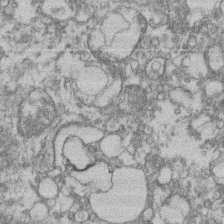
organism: Mouse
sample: T cell stromal cell synapse